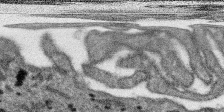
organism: Human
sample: Lung epithelial cells infected with SARS-CoV-2